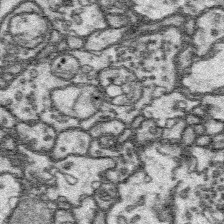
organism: Platynereis dumerilii